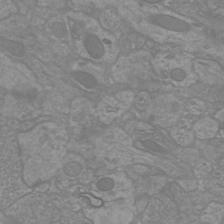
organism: Mouse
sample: Cortical neurons